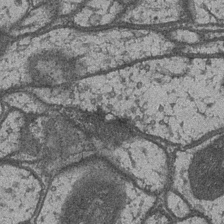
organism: Drosophila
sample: Optic medulla